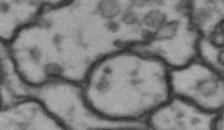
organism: Drosophila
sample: Brain